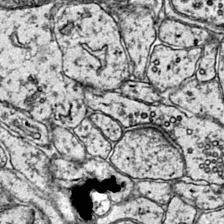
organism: Mouse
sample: Primary visual cortex